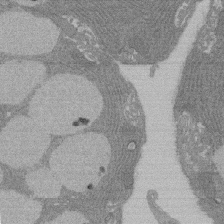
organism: Rat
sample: Salivary granule